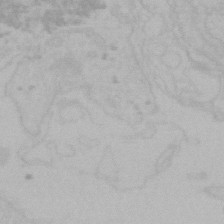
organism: Mouse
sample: Choroid plexus